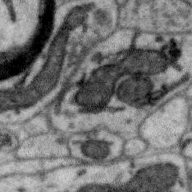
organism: Zebra finch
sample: Brain